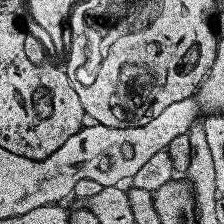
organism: Human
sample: Temporal Lobe